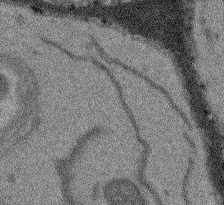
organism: Arabidopsis thaliana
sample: Root tip